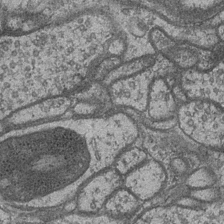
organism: Drosophila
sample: Optic medulla